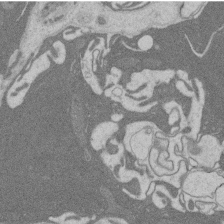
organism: Rat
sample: Salivary granule